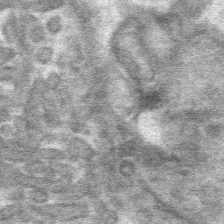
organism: Mouse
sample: Mouse hepatocytes